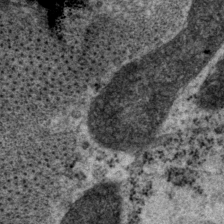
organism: P. pacificus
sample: Pharynx